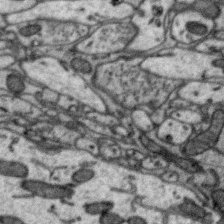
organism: Zebra finch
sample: Brain